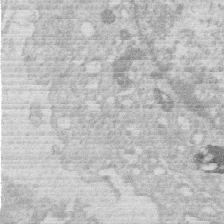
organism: Human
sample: Macrophage cells